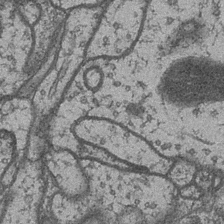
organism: Drosophila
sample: Optic medulla